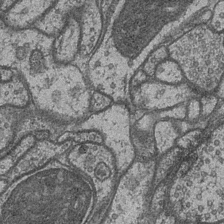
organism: Drosophila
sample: Optic medulla